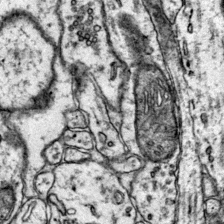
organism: Mouse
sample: Primary visual cortex